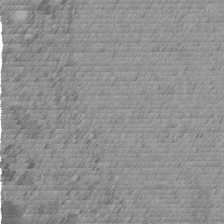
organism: C. elegans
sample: C. elegans embryo early stage